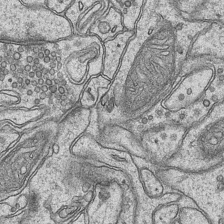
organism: Mouse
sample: CA1 Hippocampus